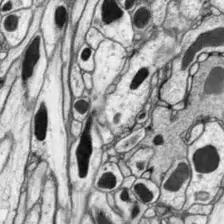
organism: Drosophila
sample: Optic lobe